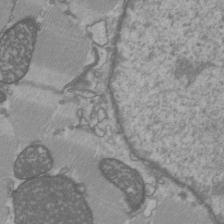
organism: C57BL Mouse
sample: Heart